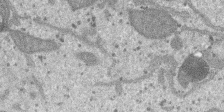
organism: Human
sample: Lung epithelial cells infected with SARS-CoV-2